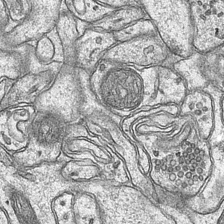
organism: Mouse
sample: CA1 Hippocampus